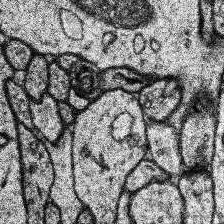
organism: Human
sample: Temporal Lobe